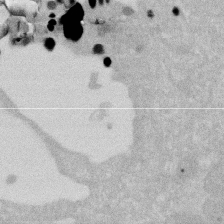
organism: Human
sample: HIV infected U937 cells